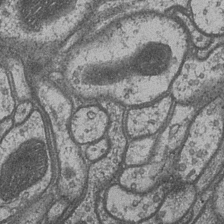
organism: Drosophila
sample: Optic medulla